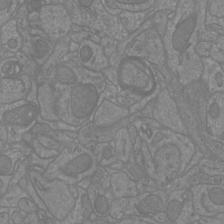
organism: Mouse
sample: Cortical neurons